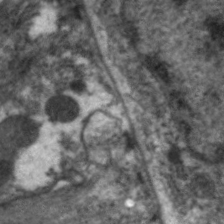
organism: C. elegans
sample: Pharynx